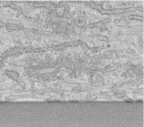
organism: Human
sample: Centriole in fibroblast cells